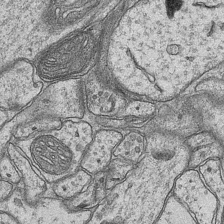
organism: Mouse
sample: CA1 Hippocampus